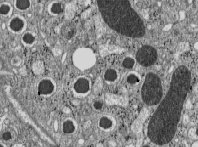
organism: C57BL Mouse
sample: Pancreatic islet